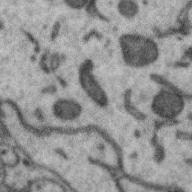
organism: Zebra finch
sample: Brain